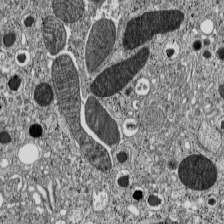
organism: C57BL Mouse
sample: Pancreatic islet